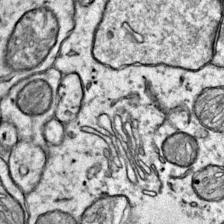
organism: Mouse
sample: Primary visual cortex